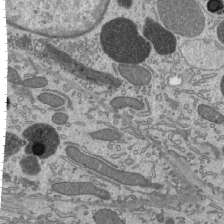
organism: Mouse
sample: Mouse epididymis efferent ductule cilia